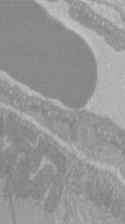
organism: C57BL Mouse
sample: Tibialis anterior muscle cell